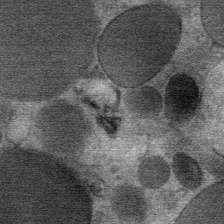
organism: Mouse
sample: Mouse Salivary gland